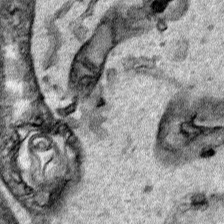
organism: Human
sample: Mitochondria in HCT116 cells